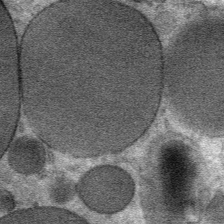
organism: Mouse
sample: Mouse Salivary gland